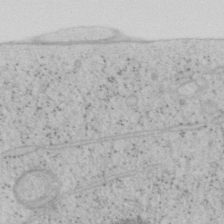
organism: Human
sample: HeLa cells